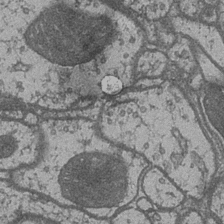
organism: Drosophila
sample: Optic medulla